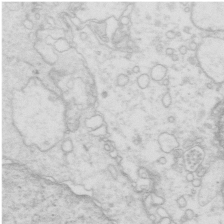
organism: Mouse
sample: Multiciliated cells